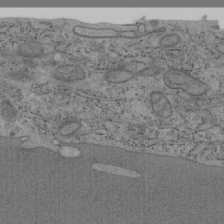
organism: Human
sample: HeLa cells